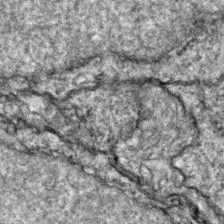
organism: Zebrafish